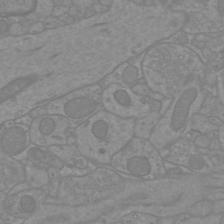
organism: Mouse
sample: Cortical neurons